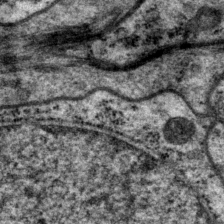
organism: P. pacificus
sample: Pharynx